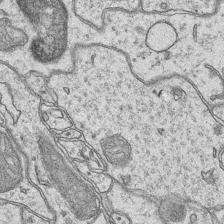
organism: Mouse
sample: CA1 Hippocampus